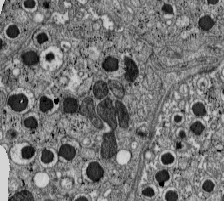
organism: C57BL Mouse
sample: Pancreatic islet